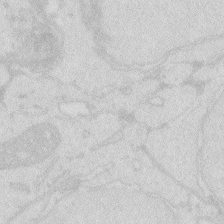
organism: Zebrafish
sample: Macrophage